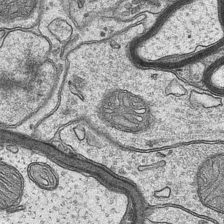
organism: Mouse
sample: CA1 Hippocampus